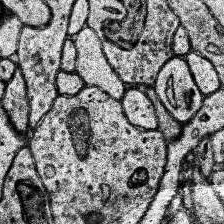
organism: Human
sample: Temporal Lobe